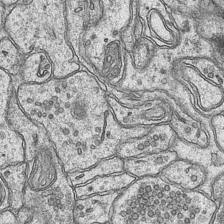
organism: Mouse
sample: CA1 Hippocampus